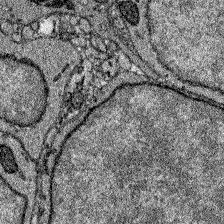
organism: Zebrafish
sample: Larval olfactory bulb